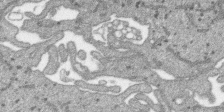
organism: Human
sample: Lung epithelial cells infected with SARS-CoV-2